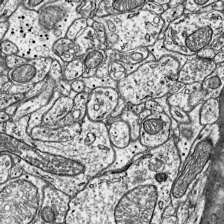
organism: Mouse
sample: Visual Cortex